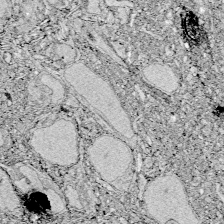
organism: Zebrafish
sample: Whole-Brain